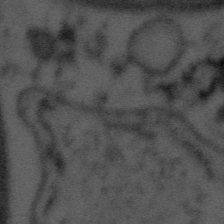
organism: Tuwongella immobilis